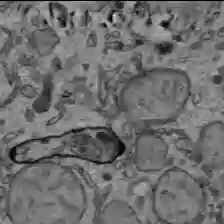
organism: C57BL Mouse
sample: Liver